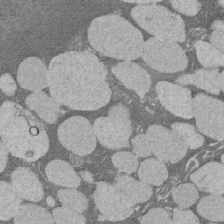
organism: Rat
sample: Salivary granule